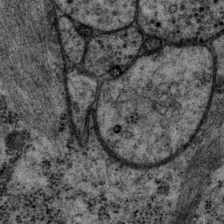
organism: P. pacificus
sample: Pharynx